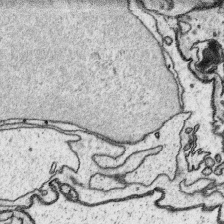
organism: Platynereis dumerilii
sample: Parapodia